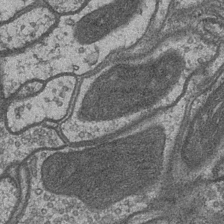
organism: Drosophila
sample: Optic medulla